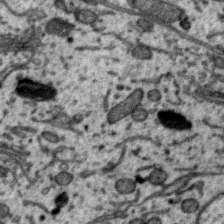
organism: Zebra finch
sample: Brain